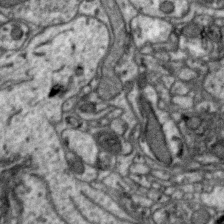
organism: Zebra finch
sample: Brain